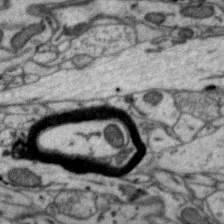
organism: Zebra finch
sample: Brain